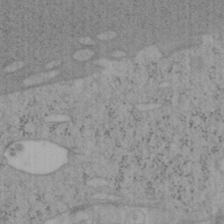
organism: Mouse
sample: OT-I killer T cells with ID8 ovarian cancer cells